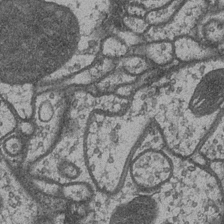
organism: Drosophila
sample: Optic medulla